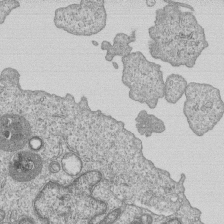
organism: Human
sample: MDA-MB-231 cells